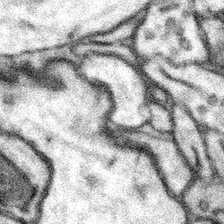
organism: Mouse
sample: Somatosensory cortex neuropil